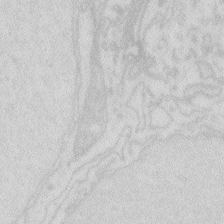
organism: Zebrafish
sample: Macrophage